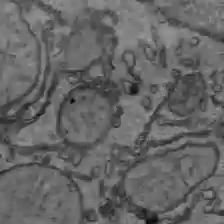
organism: C57BL Mouse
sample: Liver